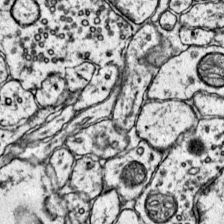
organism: Mouse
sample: Primary visual cortex